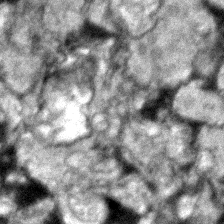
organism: Zebrafish